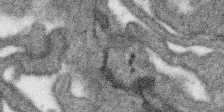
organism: Human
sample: Lung epithelial cells infected with SARS-CoV-2